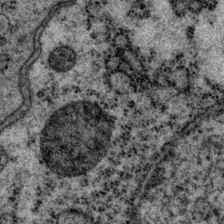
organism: P. pacificus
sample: Pharynx